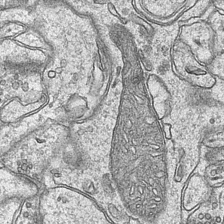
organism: Mouse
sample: CA1 Hippocampus